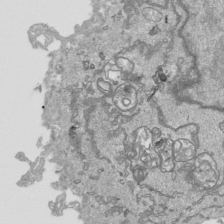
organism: Human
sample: Mitochondria in HCT116 cells